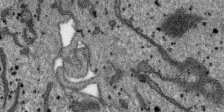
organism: Human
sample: Lung epithelial cells, uninfected (mock) control